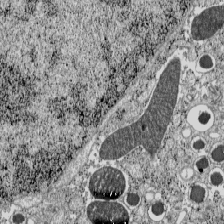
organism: C57BL Mouse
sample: Pancreatic islet